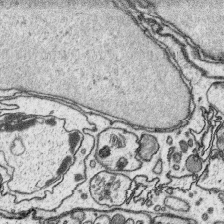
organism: Platynereis dumerilii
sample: Parapodia